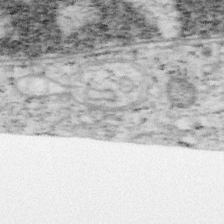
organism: Mouse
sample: OT-I killer T cells with ID8 ovarian cancer cells